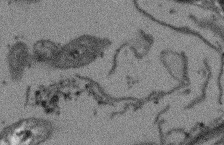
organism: Arabidopsis thaliana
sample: Root tip